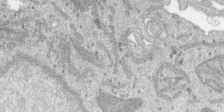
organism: Human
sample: Lung epithelial cells infected with SARS-CoV-2